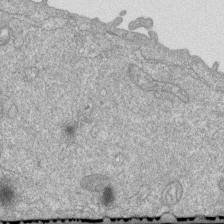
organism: Human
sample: HeLa cell HIV synapse